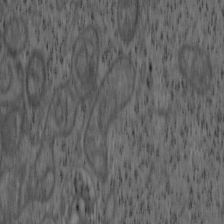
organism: Human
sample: HeLa cells